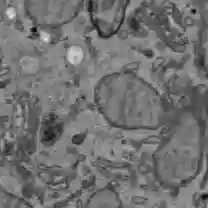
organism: C57BL Mouse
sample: Liver